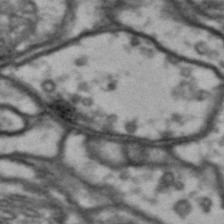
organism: Drosophila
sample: Brain